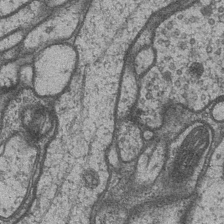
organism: Drosophila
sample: Optic medulla